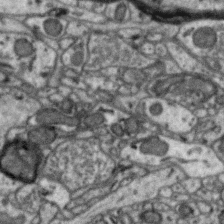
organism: Zebra finch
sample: Brain